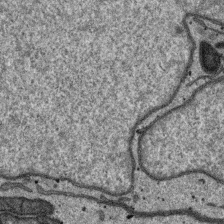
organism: Human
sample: Lung epithelial cells, uninfected (mock) control